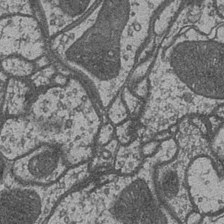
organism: Drosophila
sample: Optic medulla